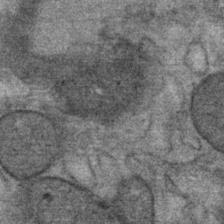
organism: Mouse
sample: Mouse Salivary gland